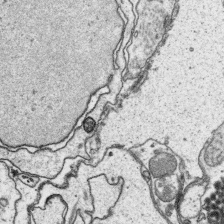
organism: Platynereis dumerilii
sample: Parapodia